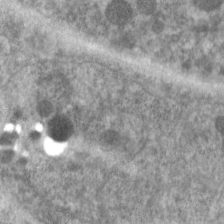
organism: C. elegans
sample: Pharynx